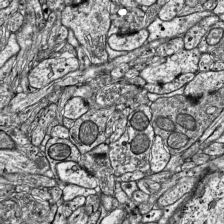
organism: Mouse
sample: Visual Cortex